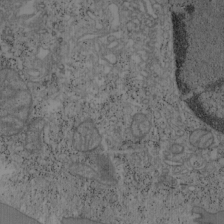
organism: Mouse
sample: OT-I killer T cells with ID8 ovarian cancer cells